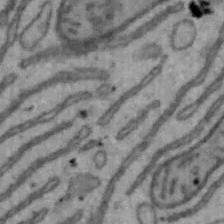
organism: Mouse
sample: Liver